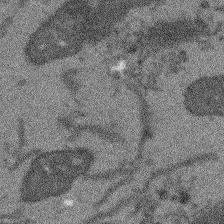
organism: Arabidopsis thaliana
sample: Root tip